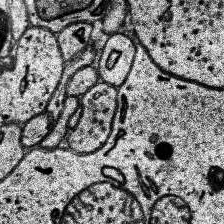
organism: Human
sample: Temporal Lobe